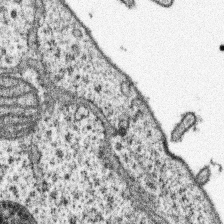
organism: Human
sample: HeLa cells